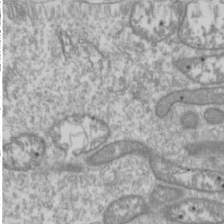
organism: Drosophila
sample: Cell division; meiosis; drosophila spermatocytes